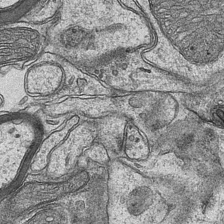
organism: Mouse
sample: CA1 Hippocampus